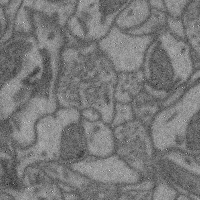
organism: Mouse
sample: Cerebral cortex